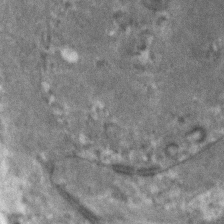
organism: Human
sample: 1205lu cells